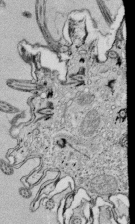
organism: Tetrahymena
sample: Cilia in tetrahymena